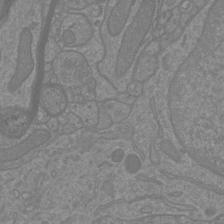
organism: Mouse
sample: Cortical neurons